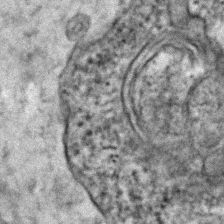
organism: Human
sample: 1205lu cells